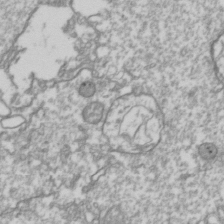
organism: Drosophila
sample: Cell division; meiosis; drosophila spermatocytes